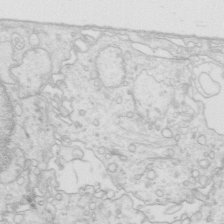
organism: Mouse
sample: Multiciliated cells